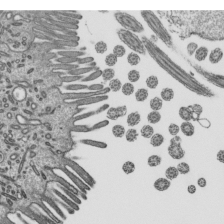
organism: Mouse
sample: Mouse epididymis efferent ductule cilia